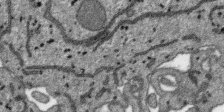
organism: Human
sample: Lung epithelial cells, uninfected (mock) control